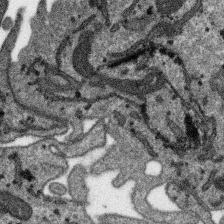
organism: Human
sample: Lung epithelial cells infected with SARS-CoV-2